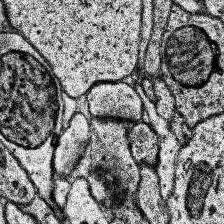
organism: Human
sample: Temporal Lobe